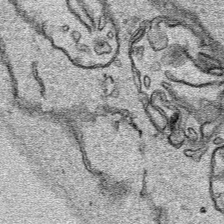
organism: Human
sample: Mitochondria in HCT116 cells